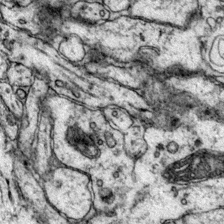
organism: Mouse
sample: Primary visual cortex